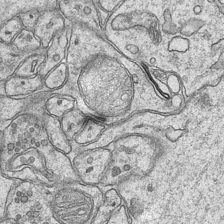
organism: Mouse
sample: CA1 Hippocampus